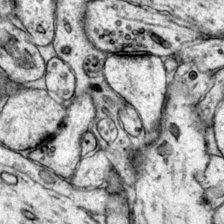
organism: Mouse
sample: Primary visual cortex